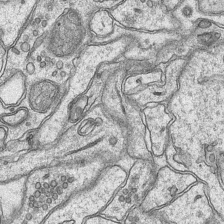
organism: Mouse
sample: CA1 Hippocampus